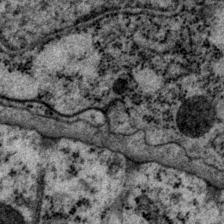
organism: P. pacificus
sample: Pharynx